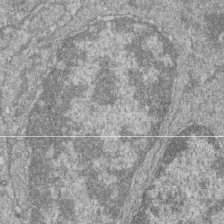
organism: Zebrafish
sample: Cilia; retinal pigment epithelium